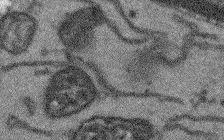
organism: Arabidopsis thaliana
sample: Root tip